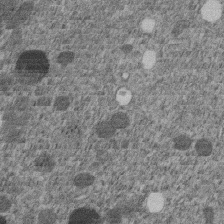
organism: C. elegans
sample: C. elegans embryo early stage